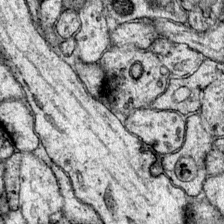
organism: Mouse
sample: Primary visual cortex